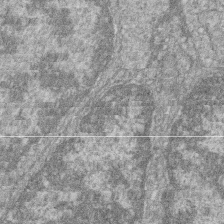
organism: Zebrafish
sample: Cilia; retinal pigment epithelium